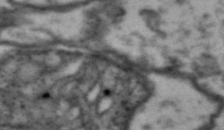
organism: Drosophila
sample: Brain